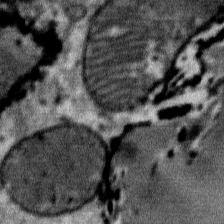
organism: Mouse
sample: Mouse Salivary gland